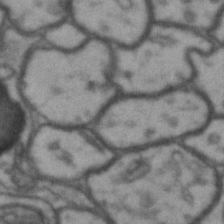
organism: Drosophila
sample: Brain